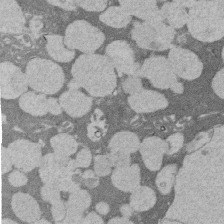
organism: Rat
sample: Salivary granule